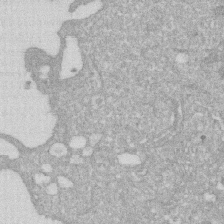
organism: Human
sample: HIV infected U937 cells